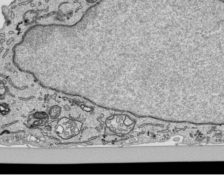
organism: Human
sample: Mitochondria in HCT116 cells